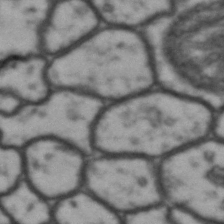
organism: Drosophila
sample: Brain